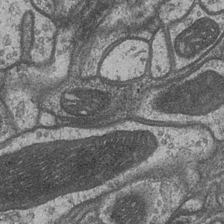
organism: Drosophila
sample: Optic medulla